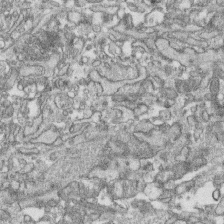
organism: Human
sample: CRL-1474